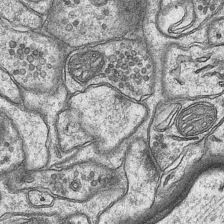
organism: Mouse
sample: CA1 Hippocampus